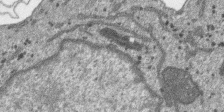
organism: Human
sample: Lung epithelial cells infected with SARS-CoV-2